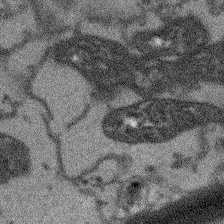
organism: Arabidopsis thaliana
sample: Root tip